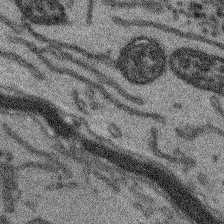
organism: Arabidopsis thaliana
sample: Root tip